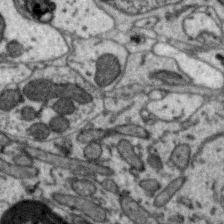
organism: Zebra finch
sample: Brain